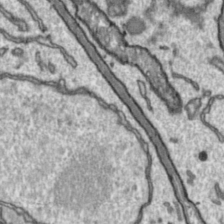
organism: Toxoplasma gondii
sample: Parasites in a vacuole inside a host cell